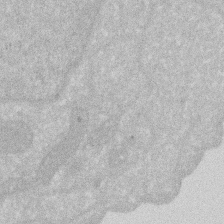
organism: Human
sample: HIV infected U937 cells